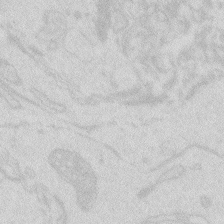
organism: Zebrafish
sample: Macrophage